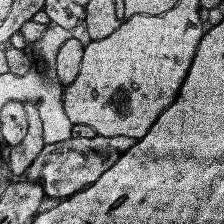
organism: Human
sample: Temporal Lobe